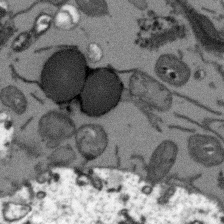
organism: Arabidopsis thaliana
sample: Root tip